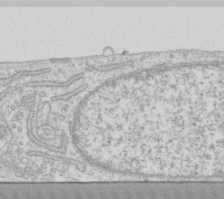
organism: Human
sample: Fibroblast cells